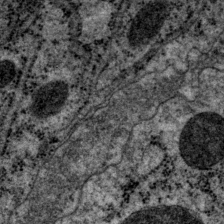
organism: P. pacificus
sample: Pharynx